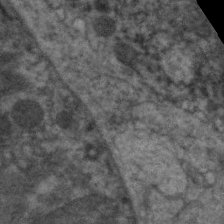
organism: C. elegans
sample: Pharynx